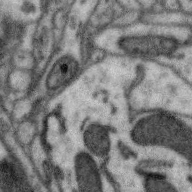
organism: Zebra finch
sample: Brain